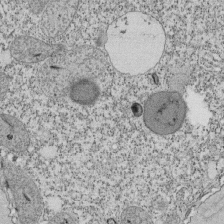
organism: Tetrahymena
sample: Cilia in tetrahymena